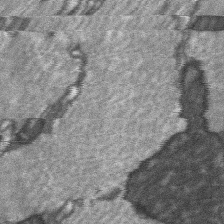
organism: C57BL Mouse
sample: Soleus